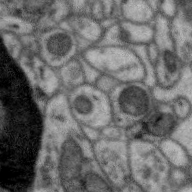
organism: Zebra finch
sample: Brain